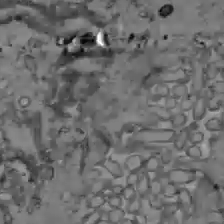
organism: C57BL Mouse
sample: Liver